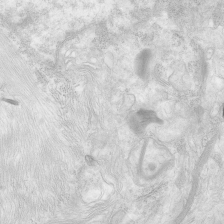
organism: Human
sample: Neocortex